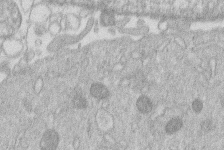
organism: Human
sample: Macrophage cells